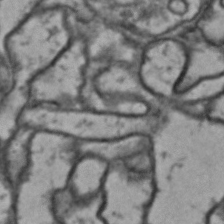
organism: Drosophila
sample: Brain